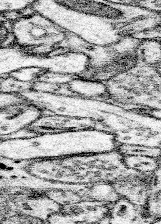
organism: Mouse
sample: Somatosensory cortex neuropil